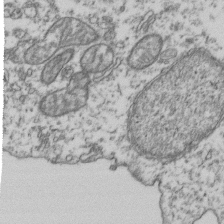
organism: Human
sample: Activated Jurkat CD4+ T cells